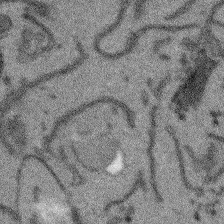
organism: Arabidopsis thaliana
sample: Root tip